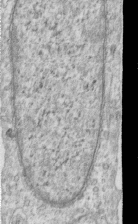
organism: Human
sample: Centriole in RPE cells